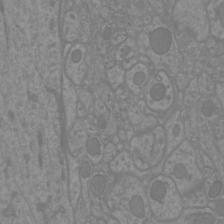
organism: Mouse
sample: Cortical neurons